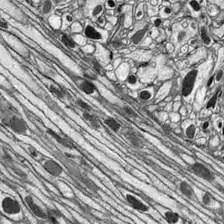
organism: Drosophila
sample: Optic lobe